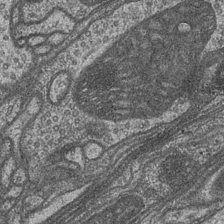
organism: Drosophila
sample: Optic medulla